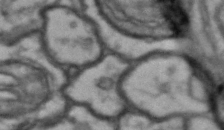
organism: Drosophila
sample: Brain